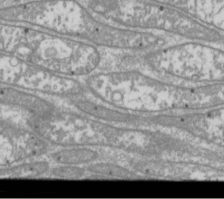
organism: Drosophila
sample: Cell division; meiosis; drosophila spermatocytes